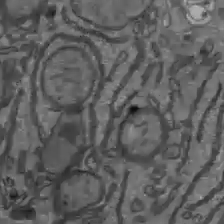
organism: C57BL Mouse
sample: Liver